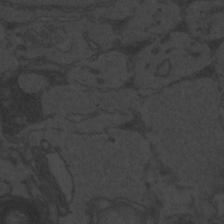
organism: Zebrafish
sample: Macrophage infected with Toxoplasma gondii